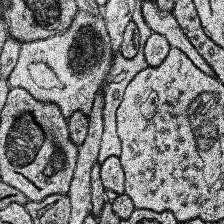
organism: Human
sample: Temporal Lobe